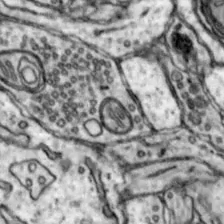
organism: Mouse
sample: Nucleus accumbens